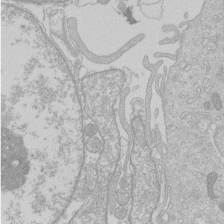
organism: Human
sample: Macrophage cells